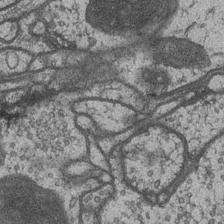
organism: Drosophila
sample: Optic medulla